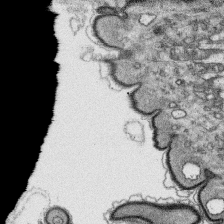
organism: Platynereis dumerilii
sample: Parapodia